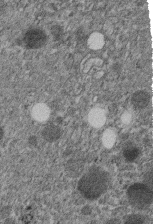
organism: C. elegans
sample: C. elegans embryo early stage